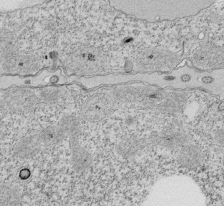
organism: Tetrahymena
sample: Cilia in tetrahymena